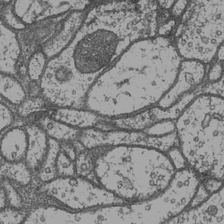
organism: Drosophila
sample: Optic medulla